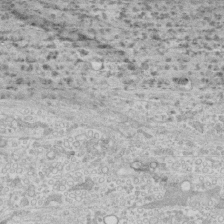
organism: Human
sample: CRL-1474